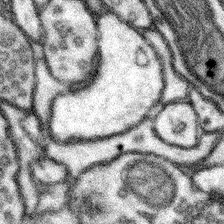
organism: Mouse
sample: Somatosensory cortex neuropil